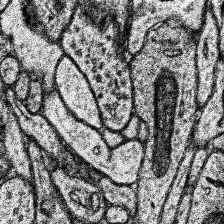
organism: Human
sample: Temporal Lobe